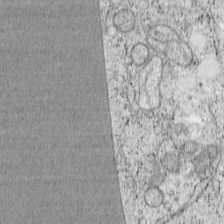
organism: African green monkey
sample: COS-7 cells